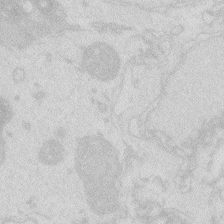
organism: Zebrafish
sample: Macrophage